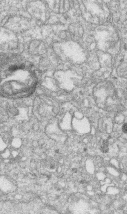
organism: Human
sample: HeLa cell HIV synapse